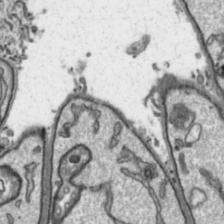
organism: Toxoplasma gondii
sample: Parasites in a vacuole inside a host cell